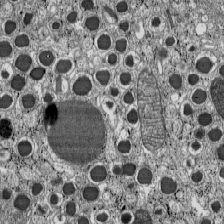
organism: C57BL Mouse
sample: Pancreatic islet